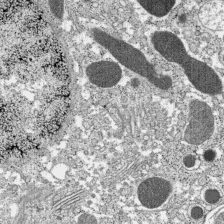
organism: C57BL Mouse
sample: Pancreatic islet